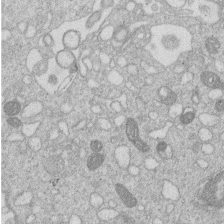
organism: Human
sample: Macrophage cells